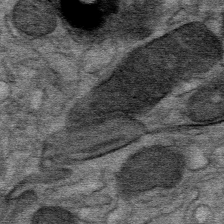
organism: Mouse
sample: Mouse Salivary gland